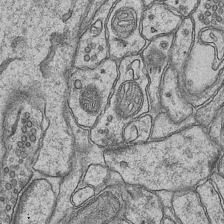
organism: Mouse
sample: CA1 Hippocampus